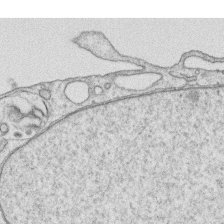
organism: Human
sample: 1205lu cells